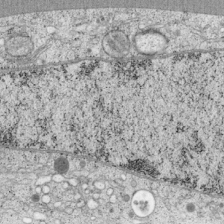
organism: African green monkey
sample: COS-7 cells